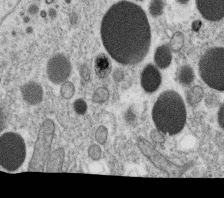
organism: C. elegans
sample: C. elegans oocyte; sperm cells